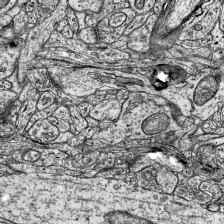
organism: Mouse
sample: Visual Cortex